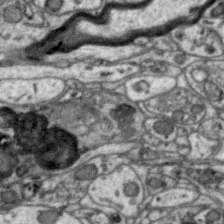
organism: Zebra finch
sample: Brain